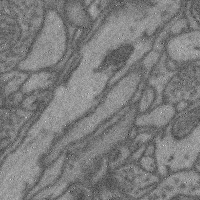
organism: Mouse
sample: Cerebral cortex